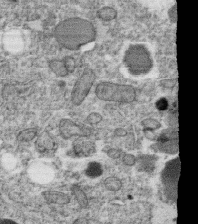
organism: C. elegans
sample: C. elegans oocyte; sperm cells